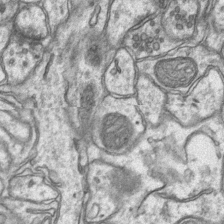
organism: Mouse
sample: CA1 Hippocampus